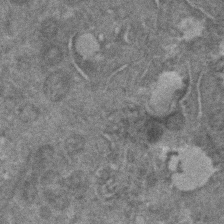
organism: C. elegans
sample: C. elegans embryo